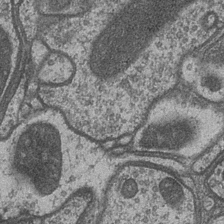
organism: Drosophila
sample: Optic medulla